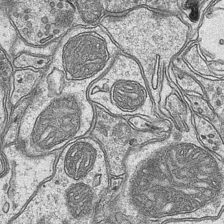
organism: Mouse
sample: CA1 Hippocampus